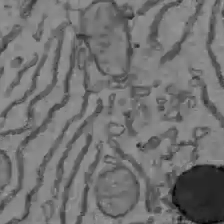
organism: C57BL Mouse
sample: Liver